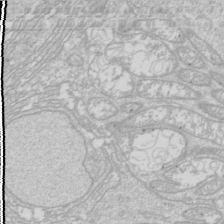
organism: Drosophila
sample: Cell division; meiosis; drosophila spermatocytes